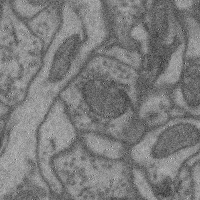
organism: Mouse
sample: Cerebral cortex